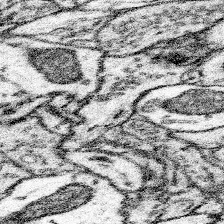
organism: Mouse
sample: Somatosensory cortex neuropil